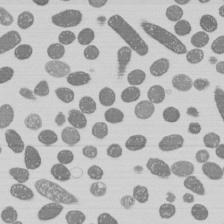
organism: E. coli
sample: Bacterial nucleoid